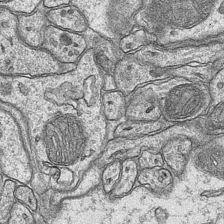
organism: Mouse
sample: CA1 Hippocampus